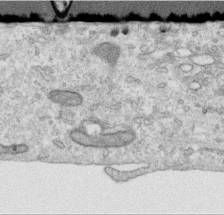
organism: Human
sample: Centriole in RPE cells